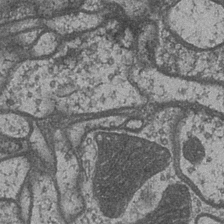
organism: Drosophila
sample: Optic medulla